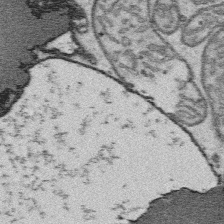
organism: Platynereis dumerilii